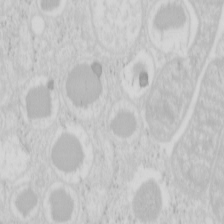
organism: Mouse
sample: Pancreas